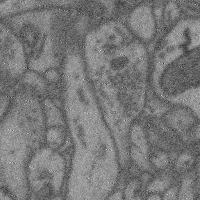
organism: Mouse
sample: Cerebral cortex